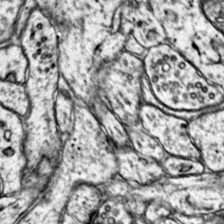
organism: Mouse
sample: Primary visual cortex